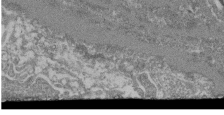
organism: Mouse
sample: Glomerulus